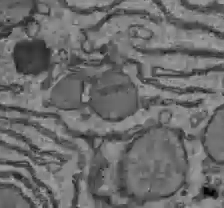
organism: C57BL Mouse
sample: Liver